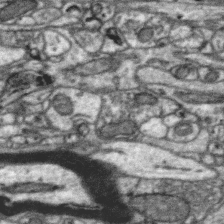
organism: Zebra finch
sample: Brain